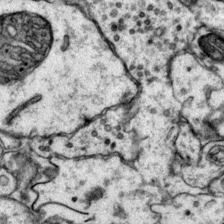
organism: Mouse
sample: Primary visual cortex